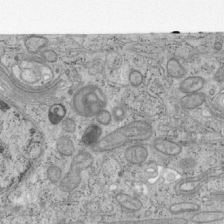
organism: Human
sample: HeLa cells